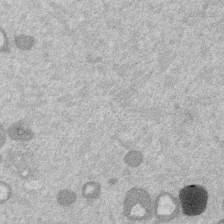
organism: Mouse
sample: Dividing mouse embryo 1 cell stage